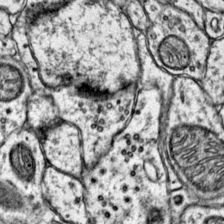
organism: Mouse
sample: Primary visual cortex